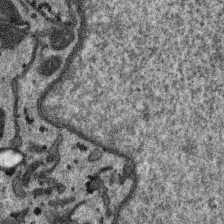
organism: Human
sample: Lung epithelial cells infected with SARS-CoV-2